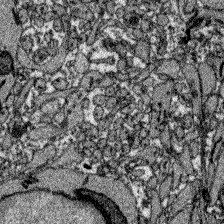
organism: Zebrafish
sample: Larval olfactory bulb